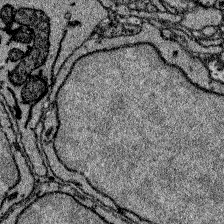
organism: Zebrafish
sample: Larval olfactory bulb